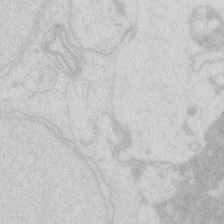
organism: Zebrafish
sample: Macrophage